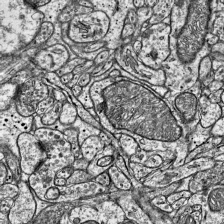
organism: Mouse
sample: Visual Cortex